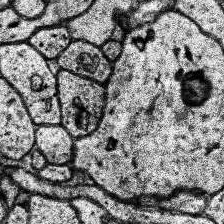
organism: Human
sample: Temporal Lobe